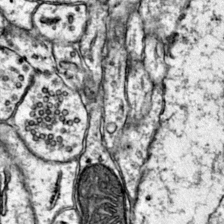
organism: Mouse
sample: Primary visual cortex